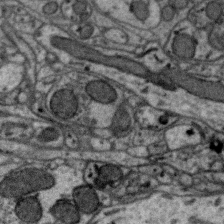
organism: Zebra finch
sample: Brain